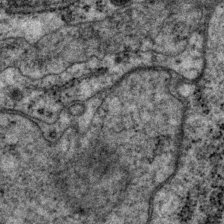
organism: P. pacificus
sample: Pharynx